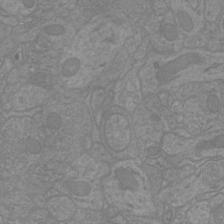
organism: Mouse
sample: Cortical neurons